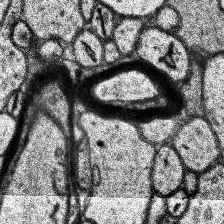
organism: Human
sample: Temporal Lobe